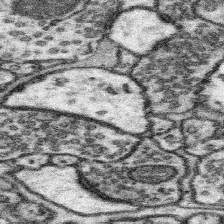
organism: Mouse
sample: Somatosensory cortex neuropil